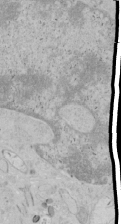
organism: Human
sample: Mitochondria in HCT116 cells